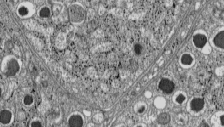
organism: C57BL Mouse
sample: Pancreatic islet